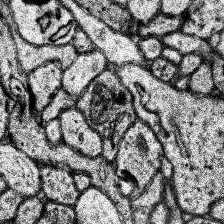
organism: Human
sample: Temporal Lobe